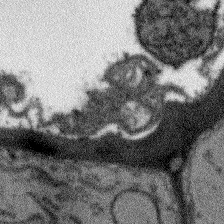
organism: Arabidopsis thaliana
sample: Root tip